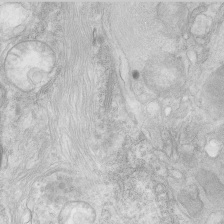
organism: Human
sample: Neocortex